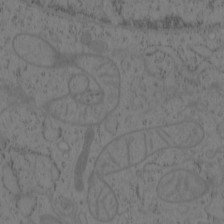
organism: Human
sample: HeLa cells